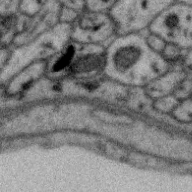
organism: Zebra finch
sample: Brain